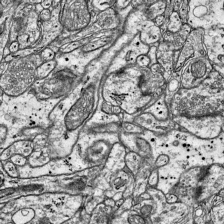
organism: Mouse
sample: Visual Cortex